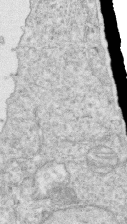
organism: Human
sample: HeLa cell HIV synapse